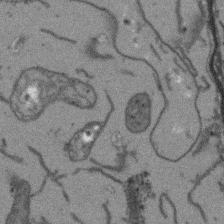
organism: Arabidopsis thaliana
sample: Root tip